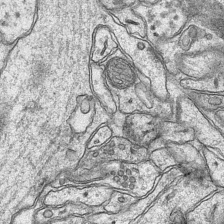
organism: Mouse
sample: CA1 Hippocampus